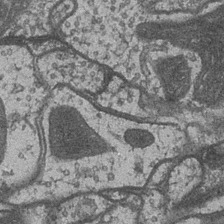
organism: Drosophila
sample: Optic medulla